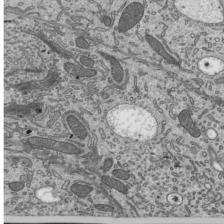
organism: Mouse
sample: Mouse epididymis efferent ductule cilia